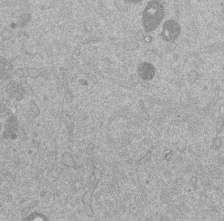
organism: Mouse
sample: Dividing mouse embryo 1 cell stage